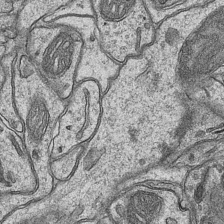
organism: Mouse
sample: CA1 Hippocampus